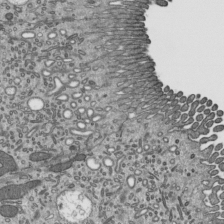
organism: Mouse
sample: Mouse epididymis efferent ductule cilia